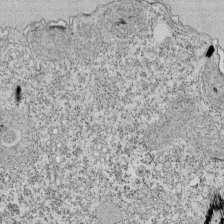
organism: Tetrahymena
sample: Cilia in tetrahymena